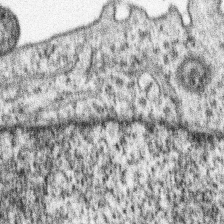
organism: Human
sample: HeLa cells